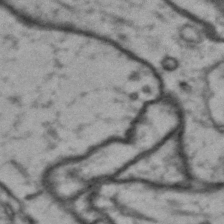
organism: Drosophila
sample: Brain